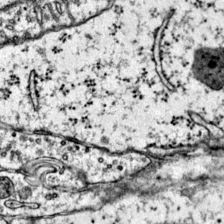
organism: Mouse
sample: Primary visual cortex